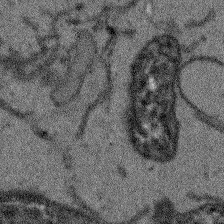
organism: Arabidopsis thaliana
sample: Root tip